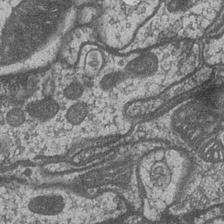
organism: Drosophila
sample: Optic medulla